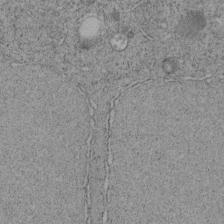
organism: C. elegans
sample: C. elegans embryo early stage